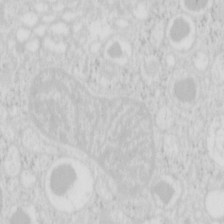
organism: Mouse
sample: Pancreas